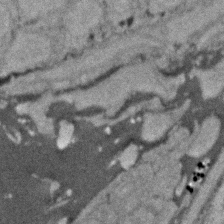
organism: Zebrafish